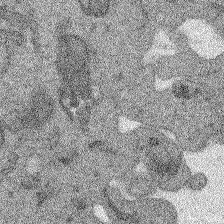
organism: Human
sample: HeLa cells